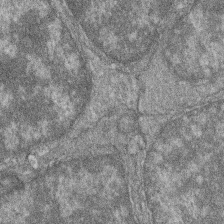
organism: Zebrafish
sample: Cilia; retinal pigment epithelium